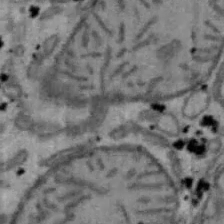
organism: Mouse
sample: Liver